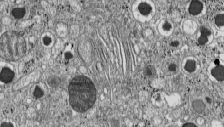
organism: C57BL Mouse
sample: Pancreatic islet